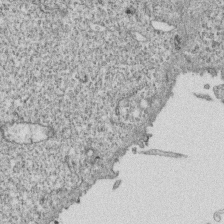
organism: Human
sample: HeLa cell HIV synapse